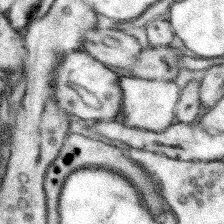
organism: Mouse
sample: Somatosensory cortex neuropil